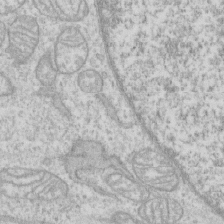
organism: Human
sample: CRL-1474